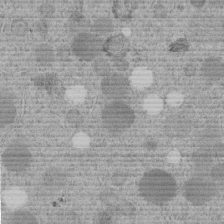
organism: C. elegans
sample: C. elegans embryo early stage